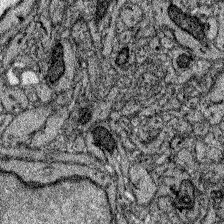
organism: Zebrafish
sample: Larval olfactory bulb